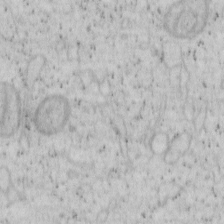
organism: Human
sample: HeLa cells